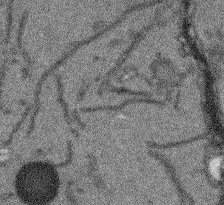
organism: Arabidopsis thaliana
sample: Root tip